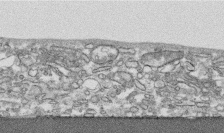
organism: Human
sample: CRL-1474